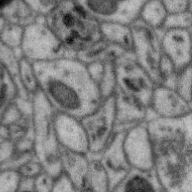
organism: Zebra finch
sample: Brain